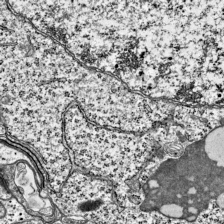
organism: Mouse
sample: Visual Cortex